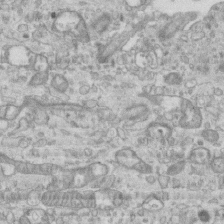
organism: Mouse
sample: Centriole in ependymal cells